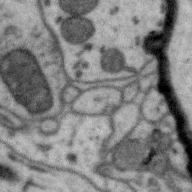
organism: Zebra finch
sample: Brain